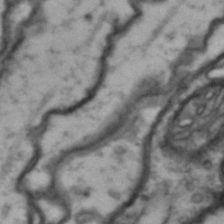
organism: Drosophila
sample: Brain